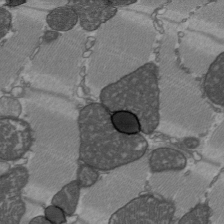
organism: C57BL Mouse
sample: Heart